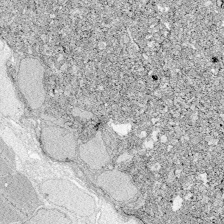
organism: Zebrafish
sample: Whole-Brain